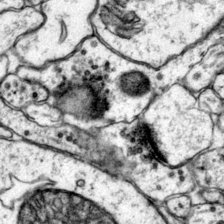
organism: Mouse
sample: Primary visual cortex